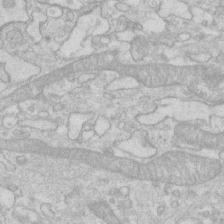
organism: Human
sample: Fibroblast cells